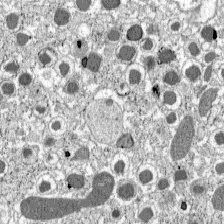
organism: C57BL Mouse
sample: Pancreatic islet